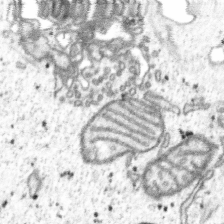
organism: Human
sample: HeLa cells